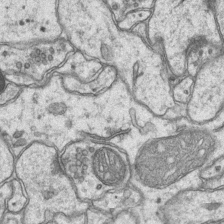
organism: Mouse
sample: CA1 Hippocampus